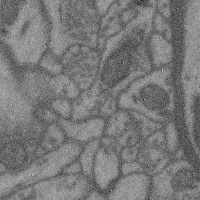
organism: Mouse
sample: Cerebral cortex